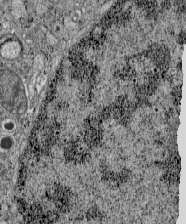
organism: C57BL Mouse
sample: Pancreatic islet